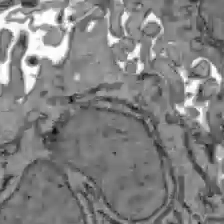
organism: C57BL Mouse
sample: Liver